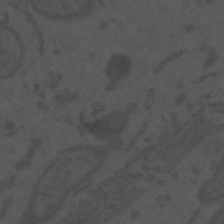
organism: Mouse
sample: Suprachiasmatic nucleus